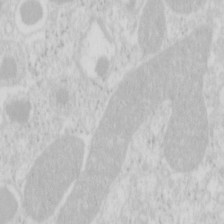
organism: Mouse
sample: Pancreas